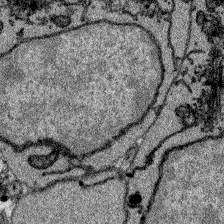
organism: Zebrafish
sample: Larval olfactory bulb